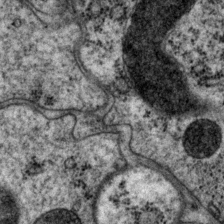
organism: P. pacificus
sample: Pharynx